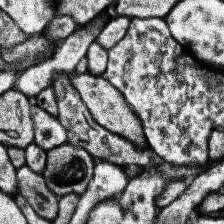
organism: Human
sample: Temporal Lobe